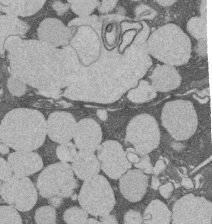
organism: Rat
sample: Salivary granule